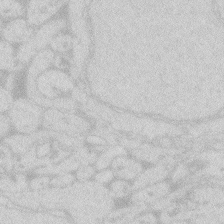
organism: Zebrafish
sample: Macrophage